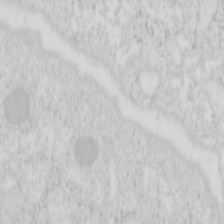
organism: Mouse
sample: Pancreas